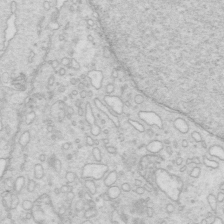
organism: Mouse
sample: Multiciliated cells